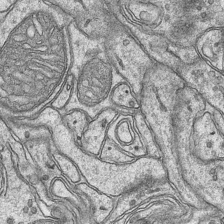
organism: Mouse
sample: CA1 Hippocampus